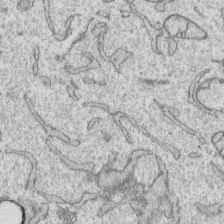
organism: Human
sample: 1205lu cells